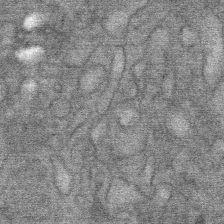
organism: Mouse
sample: Mouse Salivary gland